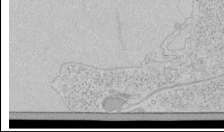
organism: Human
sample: Mitochondria in HCT116 cells